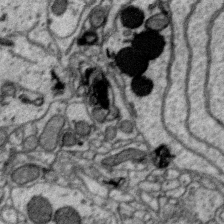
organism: Zebra finch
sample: Brain